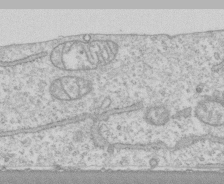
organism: Human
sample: CRL-1474